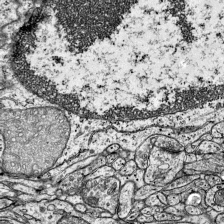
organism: Mouse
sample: Visual Cortex